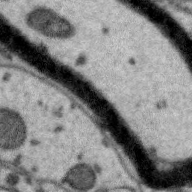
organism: Zebra finch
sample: Brain